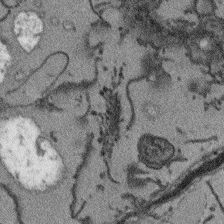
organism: Arabidopsis thaliana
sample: Root tip